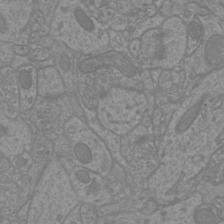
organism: Mouse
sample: Cortical neurons